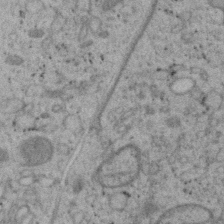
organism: Human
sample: HeLa cells